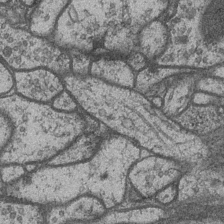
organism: Drosophila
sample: Optic medulla